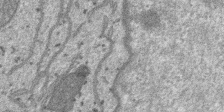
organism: Human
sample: Lung epithelial cells infected with SARS-CoV-2